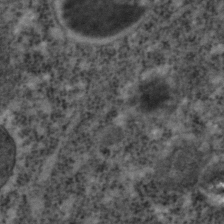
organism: C. elegans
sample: C. elegans embryo